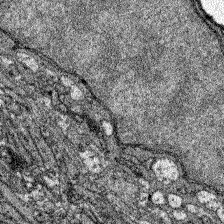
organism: Zebrafish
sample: Larval olfactory bulb